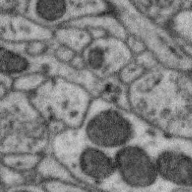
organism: Zebra finch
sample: Brain